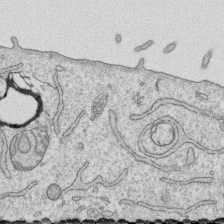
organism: Human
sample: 1205lu cells